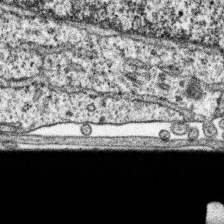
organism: Human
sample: HeLa cells